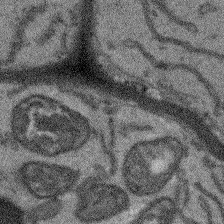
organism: Arabidopsis thaliana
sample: Root tip